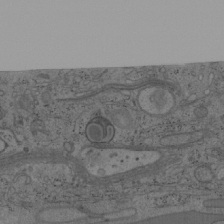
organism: Human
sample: HeLa cells